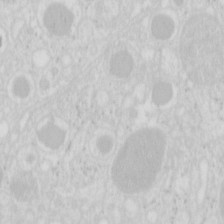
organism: Mouse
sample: Pancreas